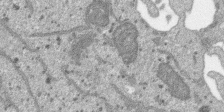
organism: Human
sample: Lung epithelial cells infected with SARS-CoV-2